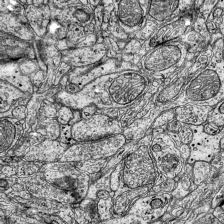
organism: Mouse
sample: Visual Cortex